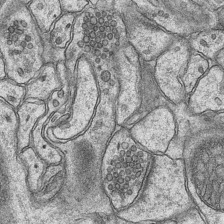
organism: Mouse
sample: CA1 Hippocampus